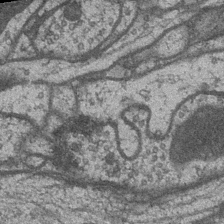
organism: Drosophila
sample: Optic medulla